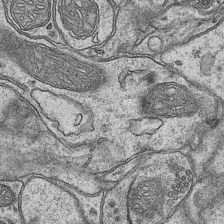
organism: Mouse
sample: CA1 Hippocampus